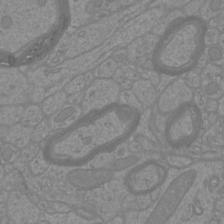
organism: Mouse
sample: Cortical neurons